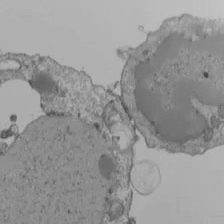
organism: Human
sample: Jurkat E6-1 and CD4 cells